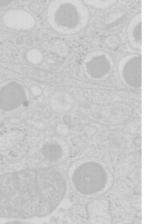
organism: Mouse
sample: Pancreas